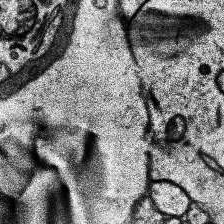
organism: Human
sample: Temporal Lobe